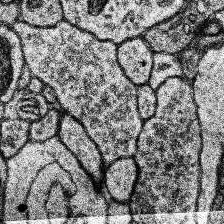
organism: Human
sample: Temporal Lobe